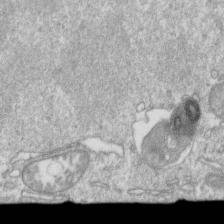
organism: Mouse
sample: Activated OT-1 CD8+ T cells